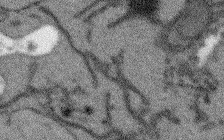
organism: Arabidopsis thaliana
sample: Root tip